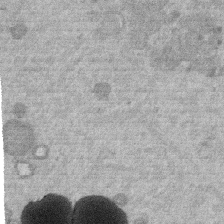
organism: Mouse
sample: Dividing mouse embryo 1 cell stage